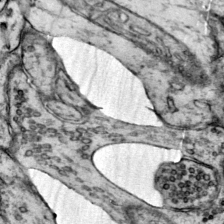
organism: Mouse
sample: Primary visual cortex